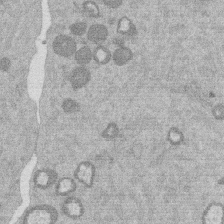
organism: Mouse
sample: Dividing mouse embryo 1 cell stage